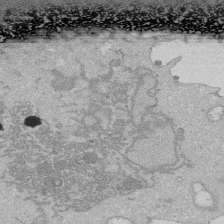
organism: Human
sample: Activated Jurkat CD4+ T cells